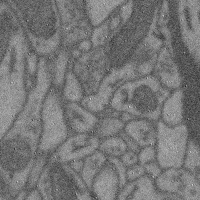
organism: Mouse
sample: Cerebral cortex